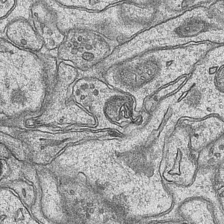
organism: Mouse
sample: CA1 Hippocampus